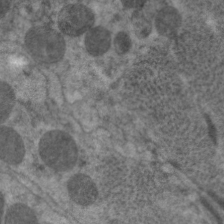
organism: C. elegans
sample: Pharynx